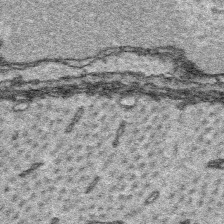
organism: Platynereis dumerilii